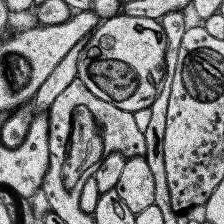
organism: Human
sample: Temporal Lobe